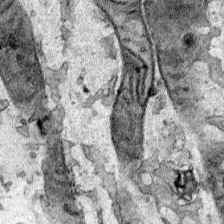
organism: Human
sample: Mitochondria in HCT116 cells